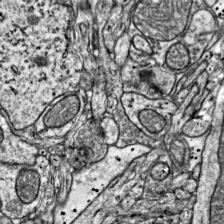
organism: Mouse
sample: Visual Cortex